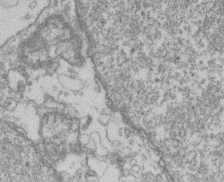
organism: Mouse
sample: T cell stromal cell synapse